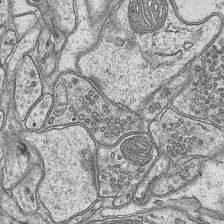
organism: Mouse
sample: CA1 Hippocampus